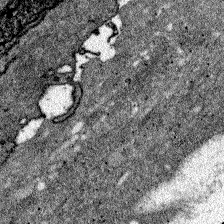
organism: Zebrafish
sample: Larval olfactory bulb